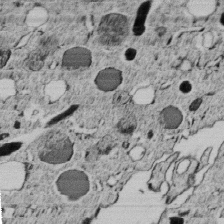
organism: C. elegans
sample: C. elegans embryo early stage